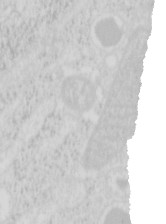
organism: Mouse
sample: Pancreas